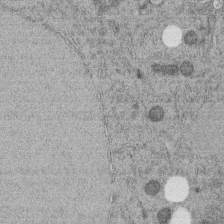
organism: C. elegans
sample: C. elegans embryo early stage